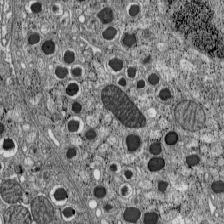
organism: C57BL Mouse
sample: Pancreatic islet